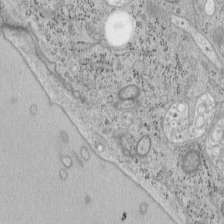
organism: Mouse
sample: OT-I killer T cells with ID8 ovarian cancer cells